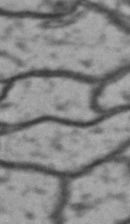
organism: Drosophila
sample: Brain